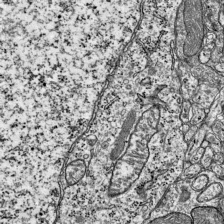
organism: Mouse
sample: Visual Cortex